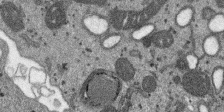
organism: Human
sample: Lung epithelial cells infected with SARS-CoV-2